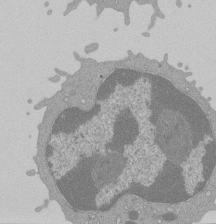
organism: Mouse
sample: Activated Pmel transgenic CD8+ T Cells